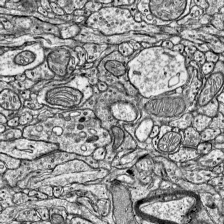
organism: Mouse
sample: Visual Cortex